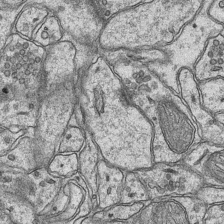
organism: Mouse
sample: CA1 Hippocampus